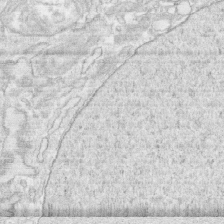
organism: Human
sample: CRL-1474